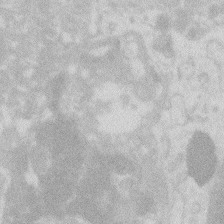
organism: Zebrafish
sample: Macrophage